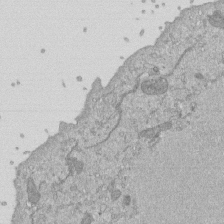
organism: Mouse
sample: ED-1 cell nuclei; centrioles